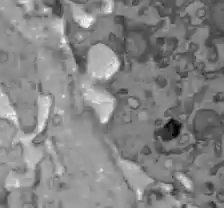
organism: C57BL Mouse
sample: Liver